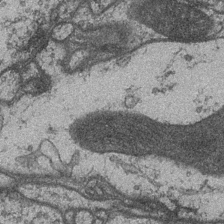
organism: Drosophila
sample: Optic medulla